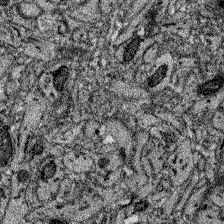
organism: Zebrafish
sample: Larval olfactory bulb